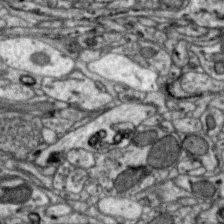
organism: Zebra finch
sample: Brain